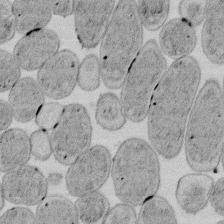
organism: E. coli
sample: Bacterial nucleoid